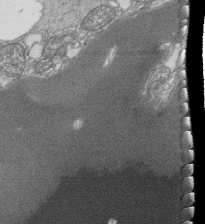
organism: Tetrahymena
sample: Cilia in tetrahymena